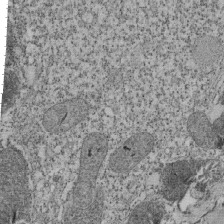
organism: Tetrahymena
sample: Cilia in tetrahymena